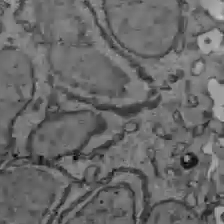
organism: C57BL Mouse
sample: Liver